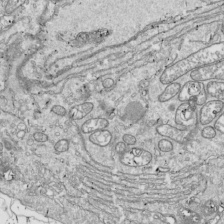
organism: Drosophila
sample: Cell division; meiosis; drosophila spermatocytes